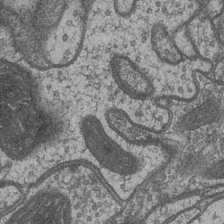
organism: Drosophila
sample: Optic medulla